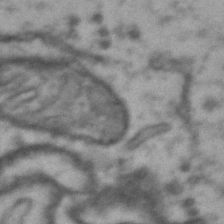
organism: Drosophila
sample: Brain